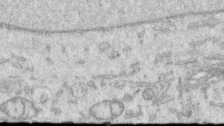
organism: Human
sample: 1205lu cells